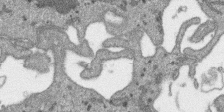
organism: Human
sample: Lung epithelial cells infected with SARS-CoV-2